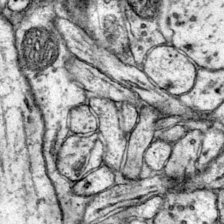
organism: Mouse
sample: Primary visual cortex